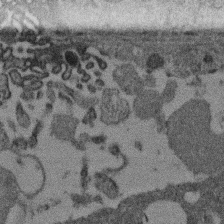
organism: Mouse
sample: Dividing mouse embryo 1 cell stage